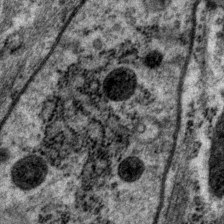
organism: P. pacificus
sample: Pharynx